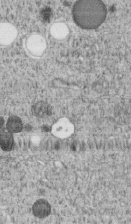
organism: C. elegans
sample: C. elegans embryo early stage